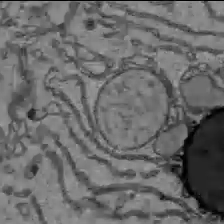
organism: C57BL Mouse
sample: Liver